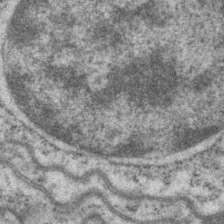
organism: P. pacificus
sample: Pharynx